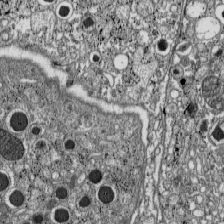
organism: C57BL Mouse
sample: Pancreatic islet